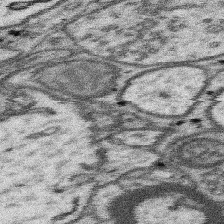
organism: Mouse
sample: Somatosensory cortex neuropil